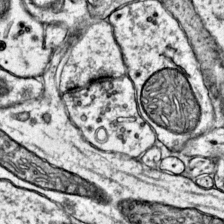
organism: Mouse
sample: Primary visual cortex